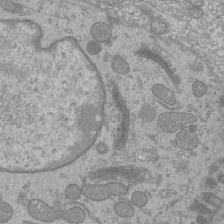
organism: Mouse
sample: Cilia; mouse epididymis